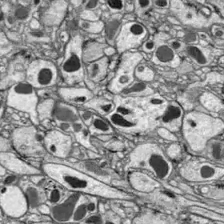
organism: Drosophila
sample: Optic lobe